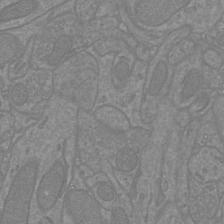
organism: Mouse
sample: Cortical neurons